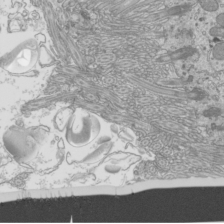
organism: Mouse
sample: Cilia; mouse epididymis